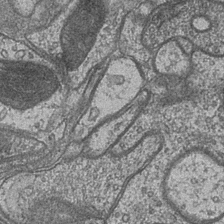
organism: Drosophila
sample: Optic medulla